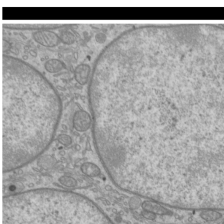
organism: Mouse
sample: Cilia; mouse epididymis